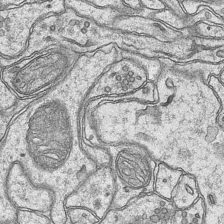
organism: Mouse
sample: CA1 Hippocampus